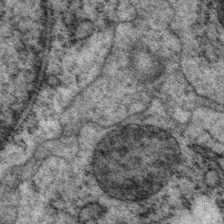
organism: P. pacificus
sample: Pharynx